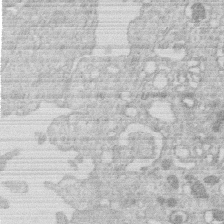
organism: Human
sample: Macrophage cells